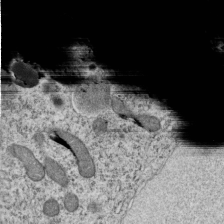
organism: C. elegans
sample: C. elegans embryo early stage